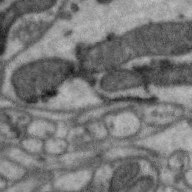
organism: Zebra finch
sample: Brain